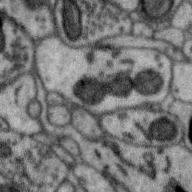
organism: Zebra finch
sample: Brain